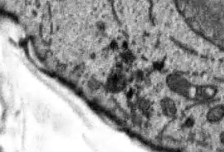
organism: Human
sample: HeLa cells